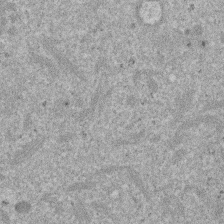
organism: Mouse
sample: Dividing mouse embryo 1 cell stage